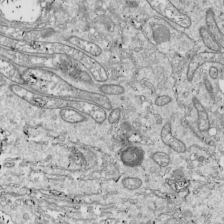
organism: Drosophila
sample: Cell division; meiosis; drosophila spermatocytes